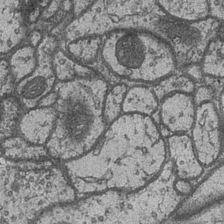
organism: Drosophila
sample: Optic medulla